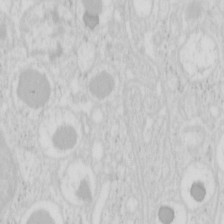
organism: Mouse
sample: Pancreas